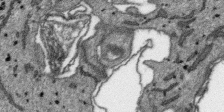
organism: Human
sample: Lung epithelial cells, uninfected (mock) control